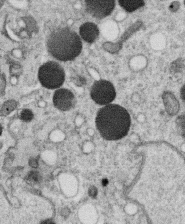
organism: C. elegans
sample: C. elegans oocyte; sperm cells